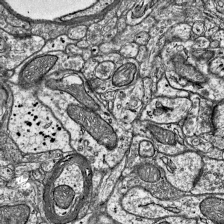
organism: Mouse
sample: Visual Cortex